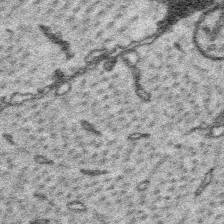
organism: Platynereis dumerilii